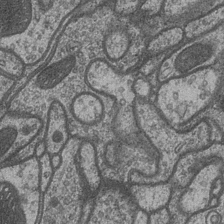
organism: Drosophila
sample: Optic medulla